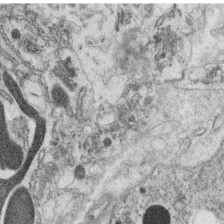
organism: C. elegans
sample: C. elegans oocyte; sperm cells